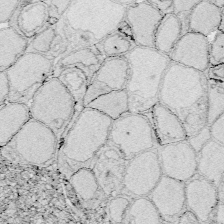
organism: Zebrafish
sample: Whole-Brain